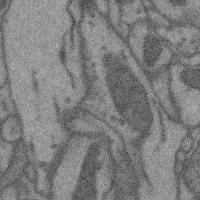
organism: Mouse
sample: Cerebral cortex